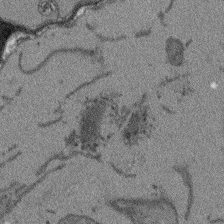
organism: Arabidopsis thaliana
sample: Root tip